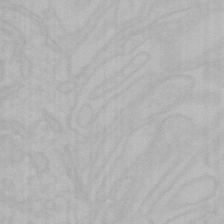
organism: Mouse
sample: Choroid plexus